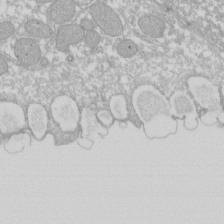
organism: Xenopus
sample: Cilia; centrioles in frog embryo cells